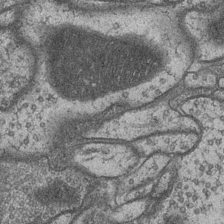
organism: Drosophila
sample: Optic medulla